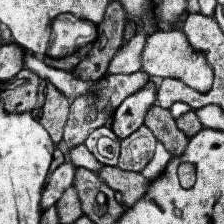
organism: Human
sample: Temporal Lobe